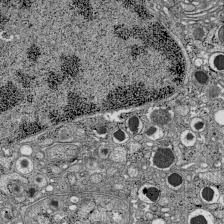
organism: C57BL Mouse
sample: Pancreatic islet